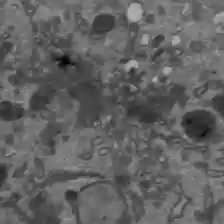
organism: C57BL Mouse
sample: Liver